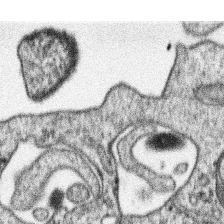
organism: Human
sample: HeLa cells